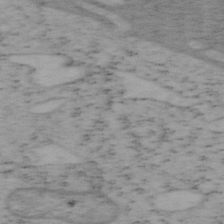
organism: Mouse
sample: OT-I killer T cells with ID8 ovarian cancer cells